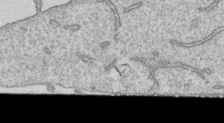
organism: Human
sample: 1205lu cells